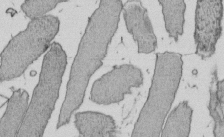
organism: E. coli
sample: Bacterial nucleoid